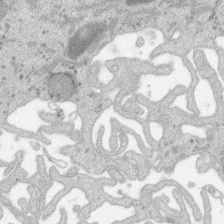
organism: Human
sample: Lung epithelial cells infected with SARS-CoV-2